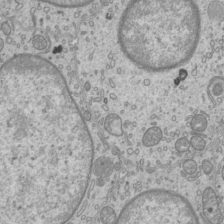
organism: Mouse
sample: Cilia; mouse epididymis